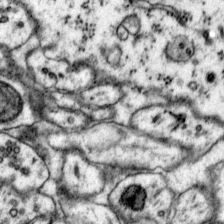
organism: Mouse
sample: Primary visual cortex